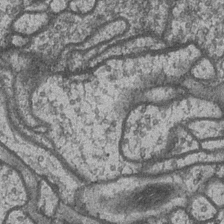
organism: Drosophila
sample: Optic medulla